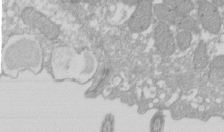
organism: Xenopus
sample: Cilia; centrioles in frog embryo cells